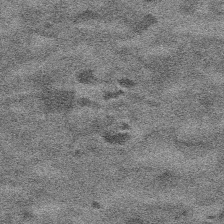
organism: Platynereis dumerilii